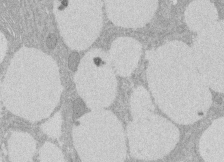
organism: Rat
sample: Salivary granule